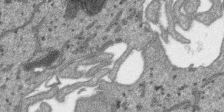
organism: Human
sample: Lung epithelial cells infected with SARS-CoV-2